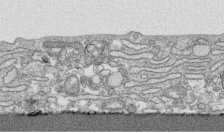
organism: Human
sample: CRL-1474